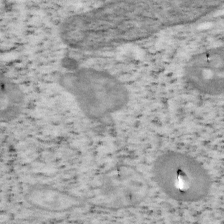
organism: Mouse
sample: OT-I killer T cells with ID8 ovarian cancer cells